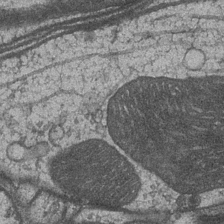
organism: Drosophila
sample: Optic medulla